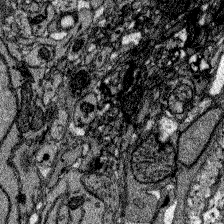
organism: Zebrafish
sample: Larval olfactory bulb